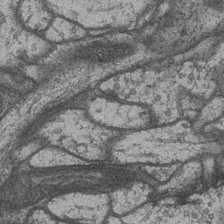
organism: Drosophila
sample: Optic medulla